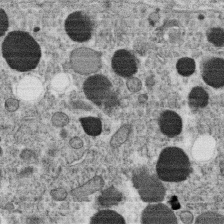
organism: C. elegans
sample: C. elegans oocyte; sperm cells